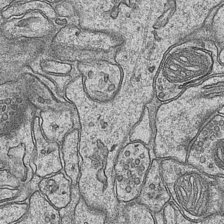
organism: Mouse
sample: CA1 Hippocampus